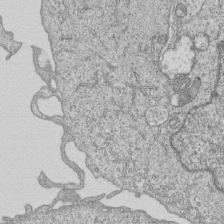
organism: Human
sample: MDA-MB-231 cells